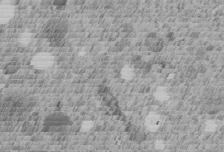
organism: C. elegans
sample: C. elegans embryo early stage